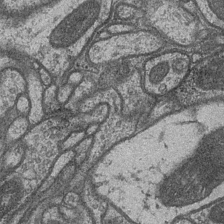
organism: Drosophila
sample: Optic medulla